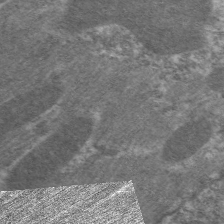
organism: C. elegans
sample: Pharynx